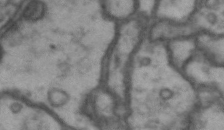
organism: Drosophila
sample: Brain